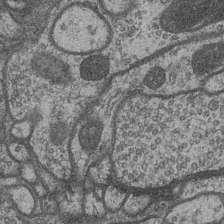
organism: Drosophila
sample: Optic medulla